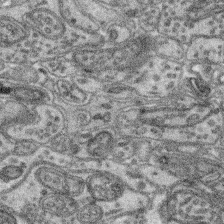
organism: Mouse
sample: Retina